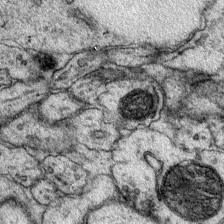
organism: Mouse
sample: Primary visual cortex